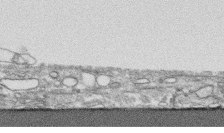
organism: Human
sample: CRL-1474